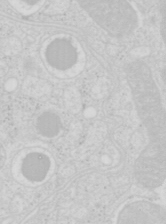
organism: Mouse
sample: Pancreas